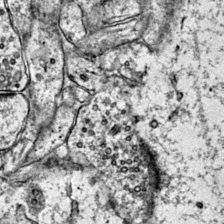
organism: Mouse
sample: Primary visual cortex